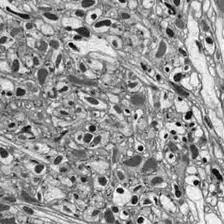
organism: Drosophila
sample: Optic lobe